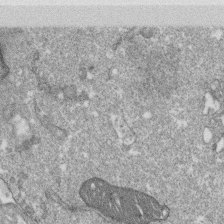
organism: African green monkey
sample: Vero E6 cells infected with SARS-CoV-2